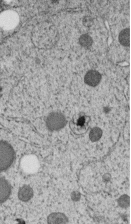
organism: C. elegans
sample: C. elegans embryo early stage